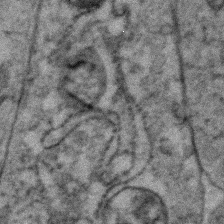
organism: Zebrafish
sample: Zebrafish embryo